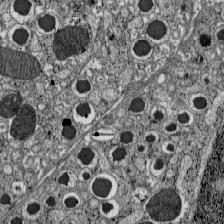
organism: C57BL Mouse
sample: Pancreatic islet